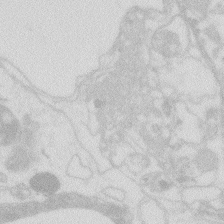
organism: Zebrafish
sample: Macrophage